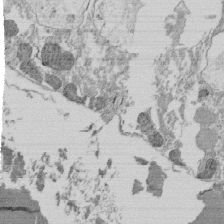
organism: Tetrahymena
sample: Cilia in tetrahymena